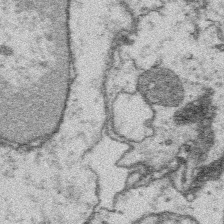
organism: Platynereis dumerilii